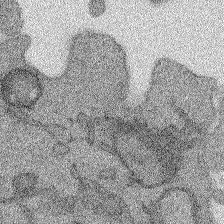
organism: Human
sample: HeLa cells